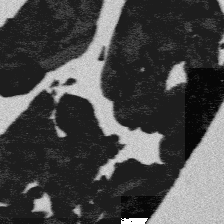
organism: Platynereis dumerilii